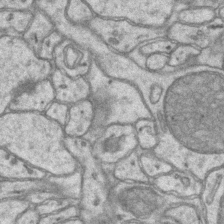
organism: Mouse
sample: CA1 Hippocampus